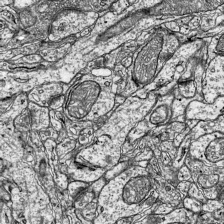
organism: Mouse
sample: Visual Cortex